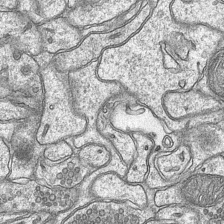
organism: Mouse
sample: CA1 Hippocampus